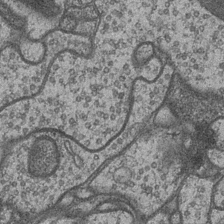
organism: Drosophila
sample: Optic medulla